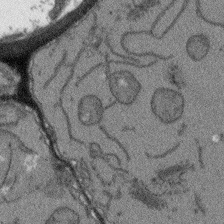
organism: Arabidopsis thaliana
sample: Root tip